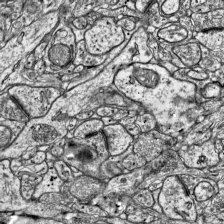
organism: Mouse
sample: Visual Cortex